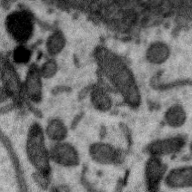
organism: Zebra finch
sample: Brain